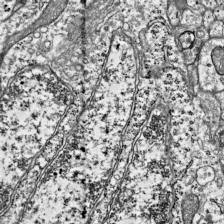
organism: Mouse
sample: Visual Cortex